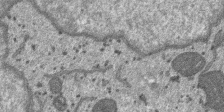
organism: Human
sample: Lung epithelial cells infected with SARS-CoV-2